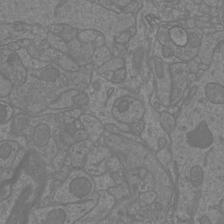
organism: Mouse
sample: Cortical neurons